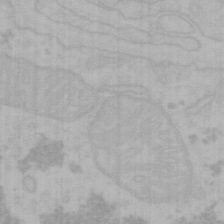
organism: Mouse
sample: Choroid plexus